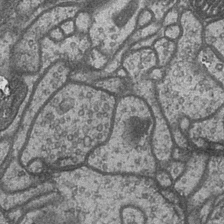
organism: Drosophila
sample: Optic medulla